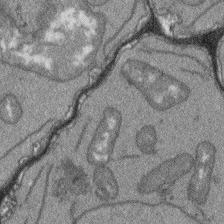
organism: Arabidopsis thaliana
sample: Root tip